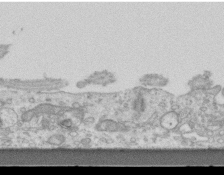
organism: Mouse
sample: Centriole in ependymal cells